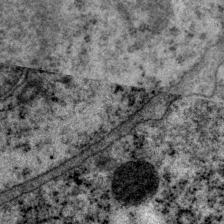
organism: P. pacificus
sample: Pharynx